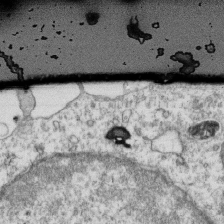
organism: Mouse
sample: Activated OT-1 CD8+ T cells